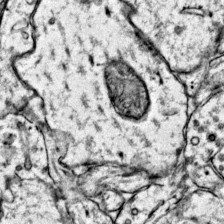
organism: Mouse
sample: Primary visual cortex